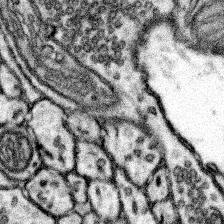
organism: Mouse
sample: Somatosensory cortex neuropil